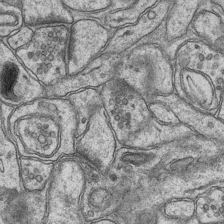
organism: Mouse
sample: CA1 Hippocampus